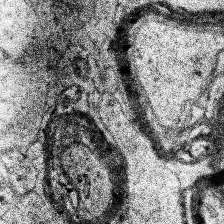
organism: Human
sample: Temporal Lobe